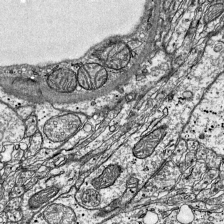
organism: Mouse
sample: Visual Cortex